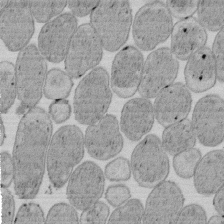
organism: E. coli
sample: Bacterial nucleoid